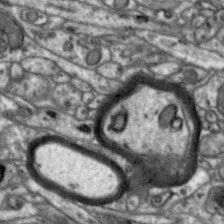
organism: Zebra finch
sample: Brain